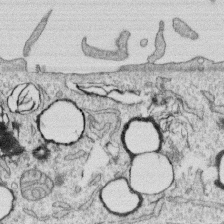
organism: Human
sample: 1205lu cells